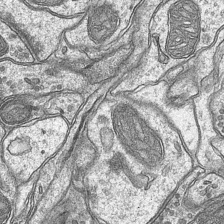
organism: Mouse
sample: CA1 Hippocampus